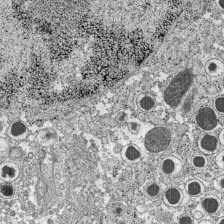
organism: C57BL Mouse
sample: Pancreatic islet